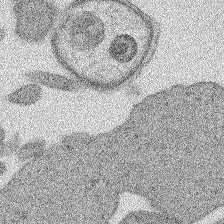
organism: Human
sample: HeLa cells